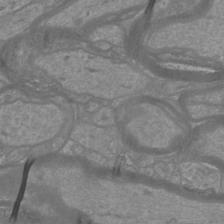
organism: Mouse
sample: Cortical neurons